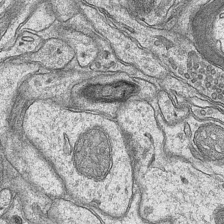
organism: Mouse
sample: CA1 Hippocampus